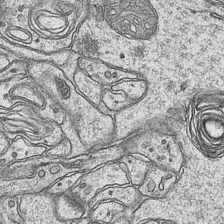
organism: Mouse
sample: CA1 Hippocampus